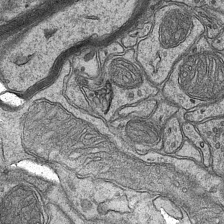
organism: Mouse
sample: CA1 Hippocampus